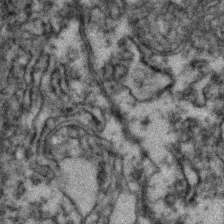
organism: Zebrafish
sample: Zebrafish embryo